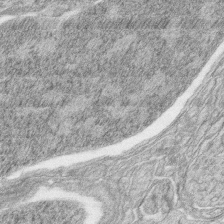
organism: Zebrafish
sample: synaptic ribbons in rod cells and cone cells